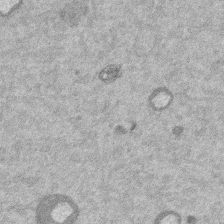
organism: Mouse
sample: Dividing mouse embryo 1 cell stage